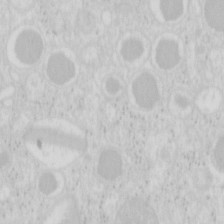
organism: Mouse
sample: Pancreas